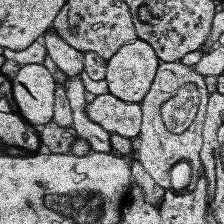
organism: Human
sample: Temporal Lobe